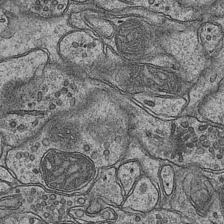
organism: Mouse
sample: CA1 Hippocampus